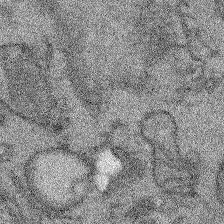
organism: Human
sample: HeLa cells